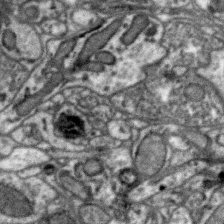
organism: Zebra finch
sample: Brain